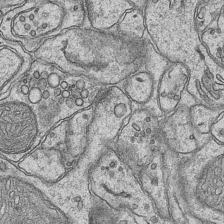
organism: Mouse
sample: CA1 Hippocampus